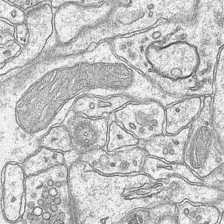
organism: Mouse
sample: CA1 Hippocampus